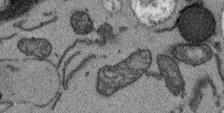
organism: Arabidopsis thaliana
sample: Root tip